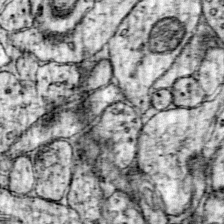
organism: Mouse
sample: Primary visual cortex